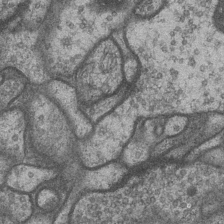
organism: Drosophila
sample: Optic medulla